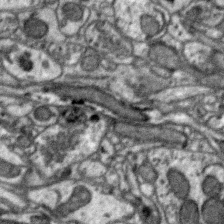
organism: Zebra finch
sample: Brain